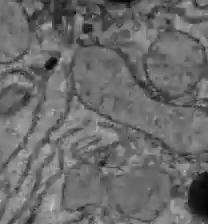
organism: C57BL Mouse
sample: Liver